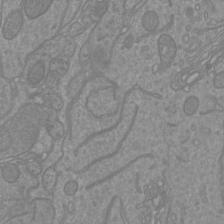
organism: Mouse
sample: Cortical neurons